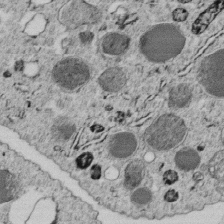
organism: C. elegans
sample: C. elegans embryo early stage